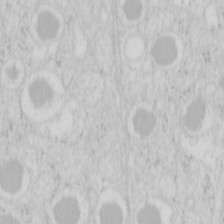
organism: Mouse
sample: Pancreas